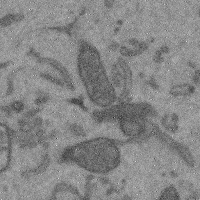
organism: Mouse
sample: Cerebral cortex